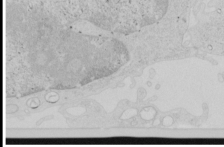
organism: Human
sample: Mitochondria in HCT116 cells